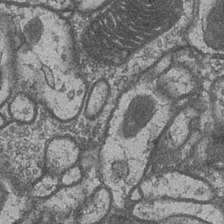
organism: Drosophila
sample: Optic medulla